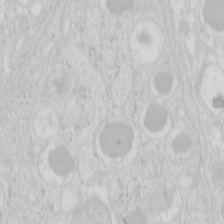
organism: Mouse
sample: Pancreas